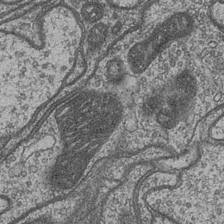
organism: Drosophila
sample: Optic medulla